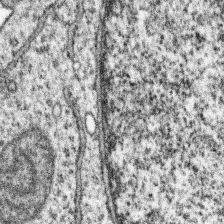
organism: Human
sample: HeLa cells